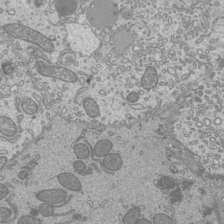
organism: Mouse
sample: Cilia; mouse epididymis